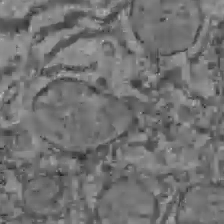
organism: C57BL Mouse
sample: Liver